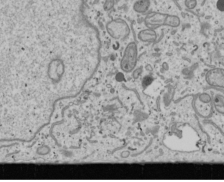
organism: Human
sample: Mitochondria in U2OS cells